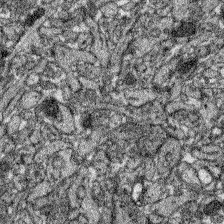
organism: Zebrafish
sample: Larval olfactory bulb